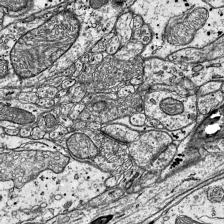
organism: Mouse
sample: Visual Cortex